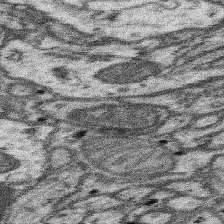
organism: Mouse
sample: Somatosensory cortex neuropil